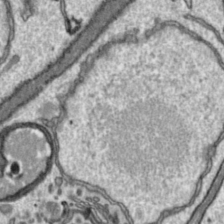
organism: Toxoplasma gondii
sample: Parasites in a vacuole inside a host cell